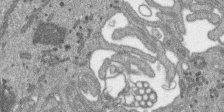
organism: Human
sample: Lung epithelial cells infected with SARS-CoV-2